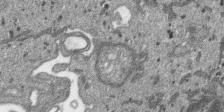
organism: Human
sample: Lung epithelial cells infected with SARS-CoV-2